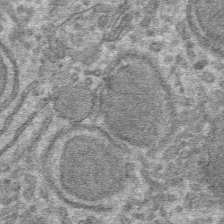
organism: Mouse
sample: Mouse hepatocytes